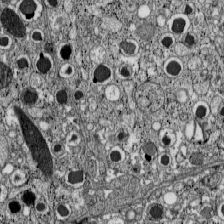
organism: C57BL Mouse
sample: Pancreatic islet